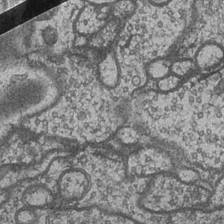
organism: Drosophila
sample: Optic medulla